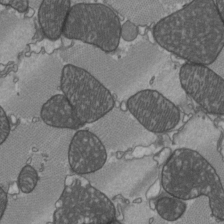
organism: C57BL Mouse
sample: Heart